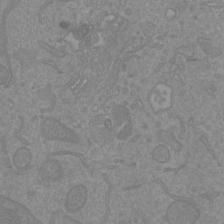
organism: Mouse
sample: Cortical neurons